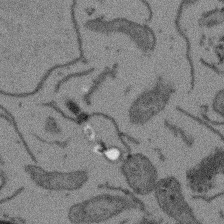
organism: Arabidopsis thaliana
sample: Root tip